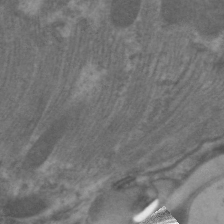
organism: C. elegans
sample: Pharynx